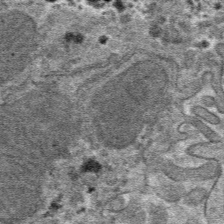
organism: Mouse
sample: Mouse hepatocytes